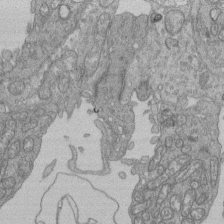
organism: Human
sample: Retinal organoid Rod and Cone cells